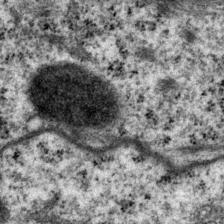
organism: P. pacificus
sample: Pharynx